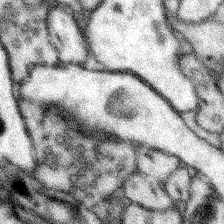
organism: Mouse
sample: Somatosensory cortex neuropil